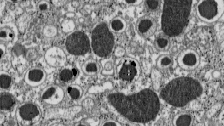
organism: C57BL Mouse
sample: Pancreatic islet